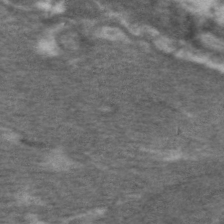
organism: C. elegans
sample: Pharynx